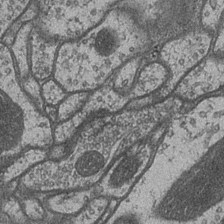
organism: Drosophila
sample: Optic medulla